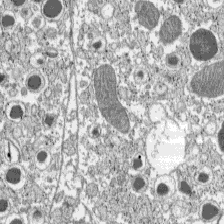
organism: C57BL Mouse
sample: Pancreatic islet